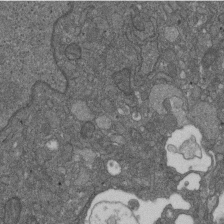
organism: Drosophila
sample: Nephrocyte